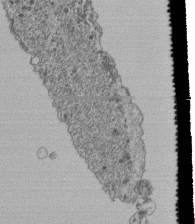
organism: Human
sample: Retinal organoid Rod and Cone cells